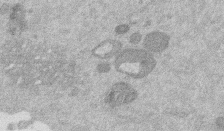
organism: Mouse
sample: Dividing mouse embryo 1 cell stage